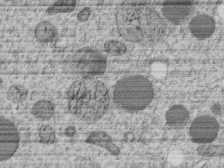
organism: C. elegans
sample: C. elegans embryo early stage